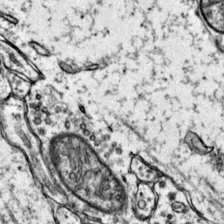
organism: Mouse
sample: Primary visual cortex